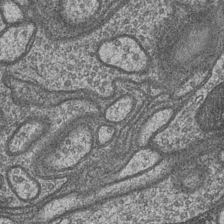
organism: Drosophila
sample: Optic medulla